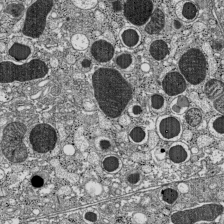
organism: C57BL Mouse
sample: Pancreatic islet